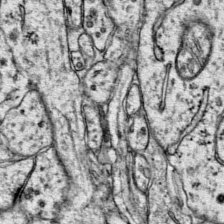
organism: Mouse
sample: Primary visual cortex